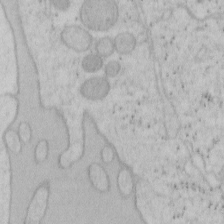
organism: Human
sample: HeLa cells